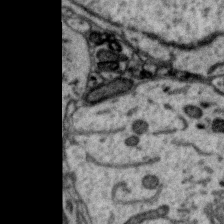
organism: Zebra finch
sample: Brain